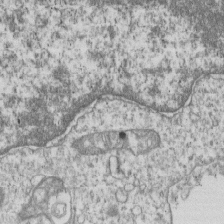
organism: Human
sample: MDA-MB-231 cells